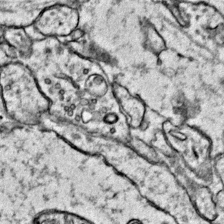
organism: Mouse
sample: Primary visual cortex